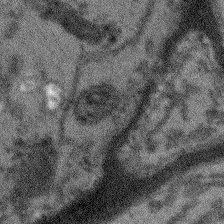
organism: Arabidopsis thaliana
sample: Root tip